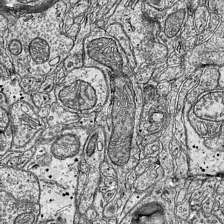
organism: Mouse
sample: Visual Cortex